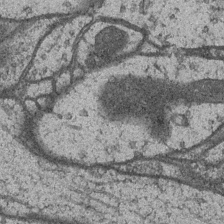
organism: Drosophila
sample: Optic medulla